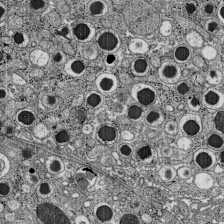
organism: C57BL Mouse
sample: Pancreatic islet